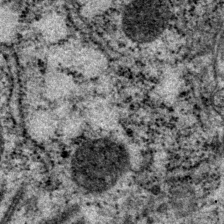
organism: P. pacificus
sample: Pharynx